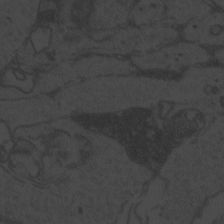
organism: Zebrafish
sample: Macrophage infected with Toxoplasma gondii